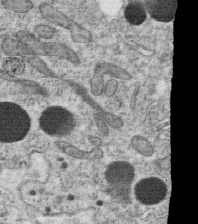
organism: C. elegans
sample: C. elegans oocyte; sperm cells